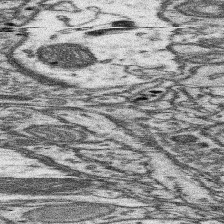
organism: Mouse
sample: Somatosensory cortex neuropil